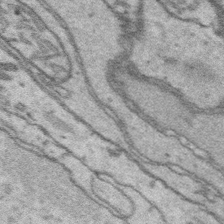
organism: Platynereis dumerilii